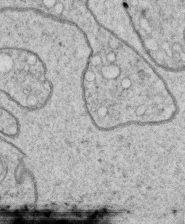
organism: C. elegans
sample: C. elegans oocyte; sperm cells